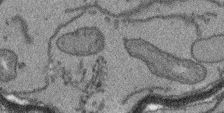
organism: Arabidopsis thaliana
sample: Root tip